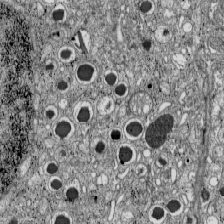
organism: C57BL Mouse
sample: Pancreatic islet